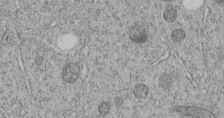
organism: C. elegans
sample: C. elegans embryo early stage